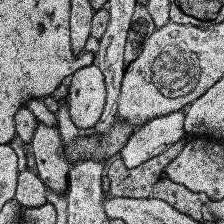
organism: Human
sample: Temporal Lobe